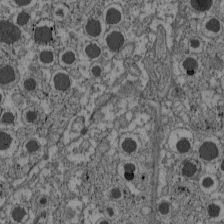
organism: C57BL Mouse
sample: Pancreatic islet